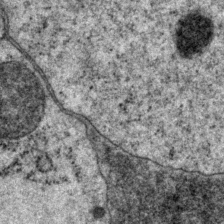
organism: P. pacificus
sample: Pharynx